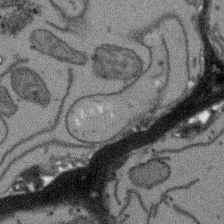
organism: Arabidopsis thaliana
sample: Root tip